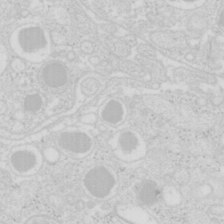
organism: Mouse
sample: Pancreas